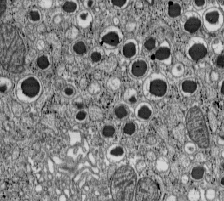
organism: C57BL Mouse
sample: Pancreatic islet